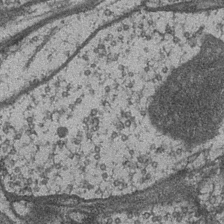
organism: Drosophila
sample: Optic medulla